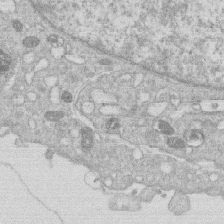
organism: Human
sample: Macrophage cells